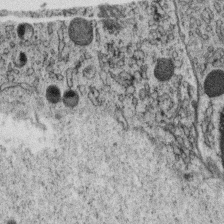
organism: C. elegans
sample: C. elegans oocyte; sperm cells